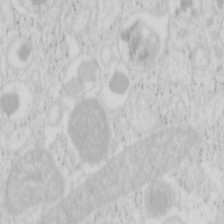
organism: Mouse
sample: Pancreas